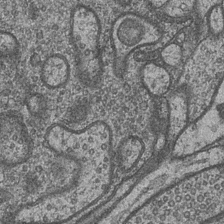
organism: Drosophila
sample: Optic medulla